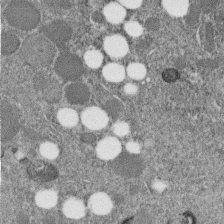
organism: C. elegans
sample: C. elegans embryo early stage